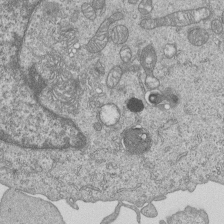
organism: Human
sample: MDA-MB-231 cells